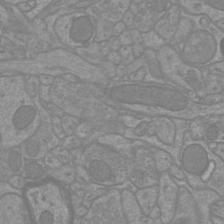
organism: Mouse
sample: Cortical neurons